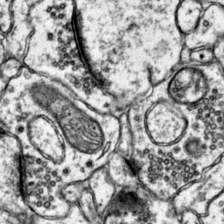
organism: Mouse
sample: Primary visual cortex